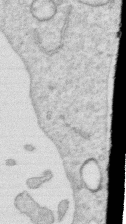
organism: Human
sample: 1205lu cells